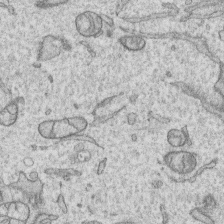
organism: Human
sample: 1205lu cells